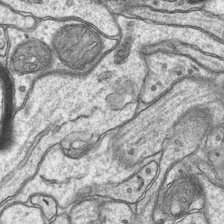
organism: Mouse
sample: CA1 Hippocampus